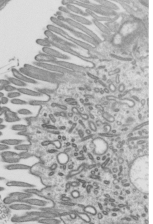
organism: Mouse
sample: Mouse epididymis efferent ductule cilia